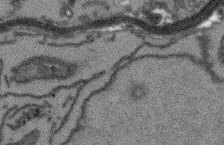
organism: Arabidopsis thaliana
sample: Root tip